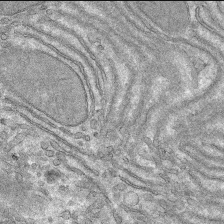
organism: Mouse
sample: Mouse hepatocytes